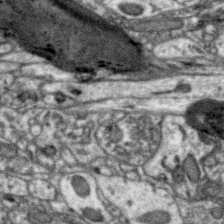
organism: Zebra finch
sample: Brain